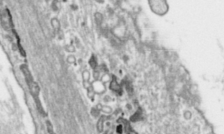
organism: Toxoplasma gondii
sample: Parasites in a vacuole inside a host cell